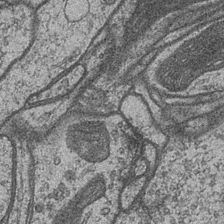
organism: Drosophila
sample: Optic medulla